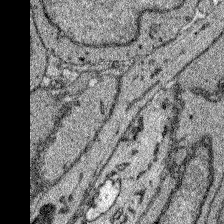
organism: Zebrafish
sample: Larval olfactory bulb